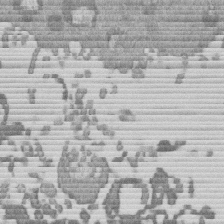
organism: Mouse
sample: Dividing mouse embryo 1 cell stage